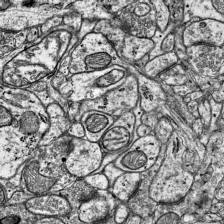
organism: Mouse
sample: Visual Cortex